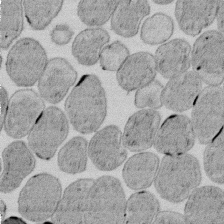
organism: E. coli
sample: Bacterial nucleoid